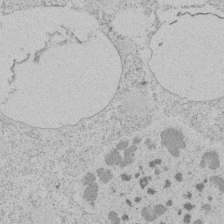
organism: Tetrahymena